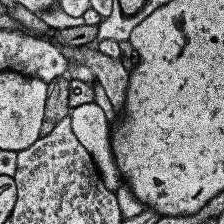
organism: Human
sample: Temporal Lobe